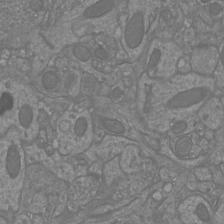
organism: Mouse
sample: Cortical neurons